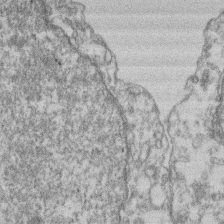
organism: Mouse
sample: T cell stromal cell synapse